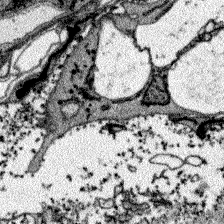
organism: Zebrafish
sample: Larval olfactory bulb